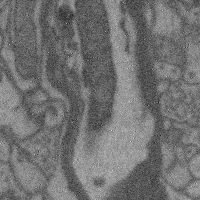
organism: Mouse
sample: Cerebral cortex